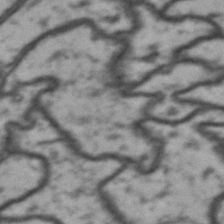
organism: Drosophila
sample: Brain